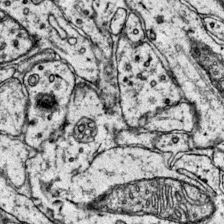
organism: Mouse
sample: Primary visual cortex